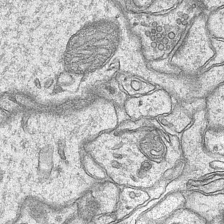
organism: Mouse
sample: CA1 Hippocampus